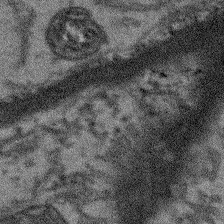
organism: Arabidopsis thaliana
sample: Root tip